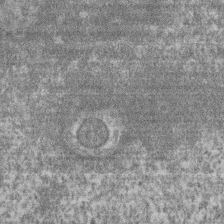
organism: Mouse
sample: T cell stromal cell synapse